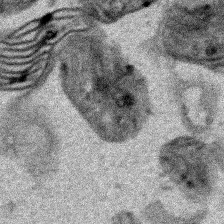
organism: Human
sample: Mitochondria in HCT116 cells